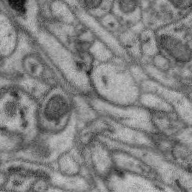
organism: Zebra finch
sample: Brain